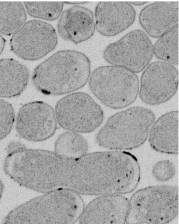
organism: E. coli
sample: Bacterial nucleoid